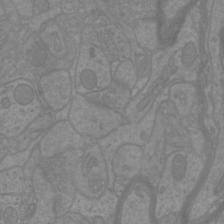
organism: Mouse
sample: Cortical neurons